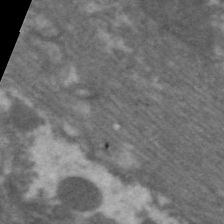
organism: C. elegans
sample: Pharynx